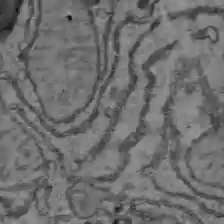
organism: C57BL Mouse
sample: Liver